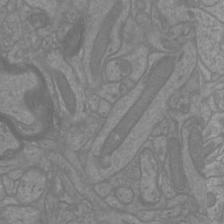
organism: Mouse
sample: Cortical neurons